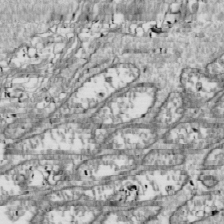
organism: Drosophila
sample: Cell division; meiosis; drosophila spermatocytes